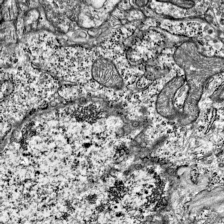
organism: Mouse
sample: Visual Cortex